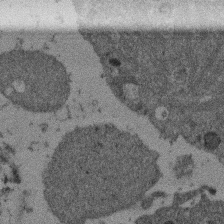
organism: Mouse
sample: Dividing mouse embryo 1 cell stage